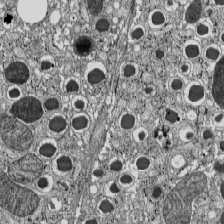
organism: C57BL Mouse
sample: Pancreatic islet